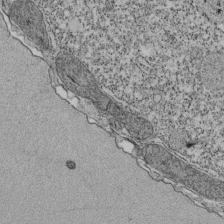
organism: Tetrahymena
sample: Cilia in tetrahymena